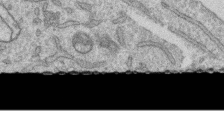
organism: Human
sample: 1205lu cells